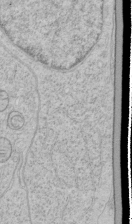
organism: Human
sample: Mitochondria in HCT116 cells